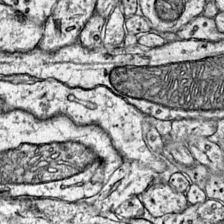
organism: Mouse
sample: Primary visual cortex